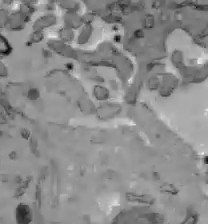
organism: C57BL Mouse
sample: Liver